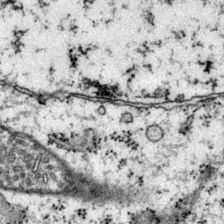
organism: Mouse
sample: Primary visual cortex